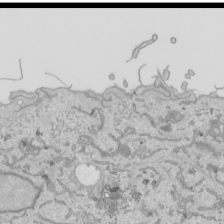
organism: Human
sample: Mitochondria in HCT116 cells